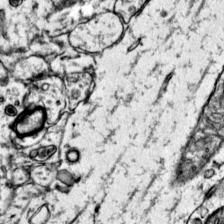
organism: Mouse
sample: Primary visual cortex